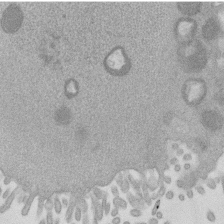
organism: Mouse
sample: Dividing mouse embryo 1 cell stage